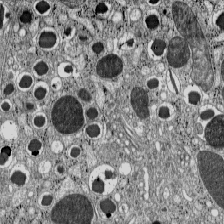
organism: C57BL Mouse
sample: Pancreatic islet